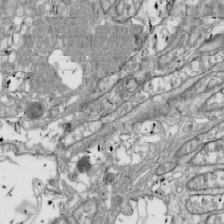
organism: Drosophila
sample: Cell division; meiosis; drosophila spermatocytes